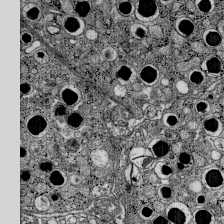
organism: C57BL Mouse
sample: Pancreatic islet